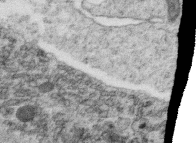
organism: C. elegans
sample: C. elegans oocyte; sperm cells